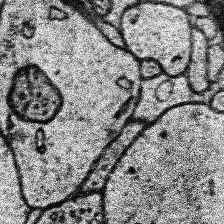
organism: Human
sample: Temporal Lobe